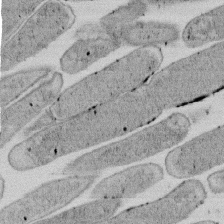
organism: E. coli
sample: Bacterial nucleoid